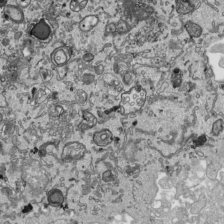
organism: Human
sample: Mitochondria in HCT116 cells